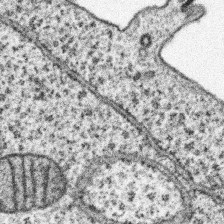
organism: Human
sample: HeLa cells